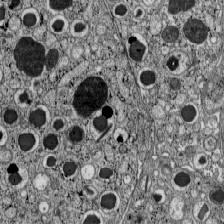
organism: C57BL Mouse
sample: Pancreatic islet